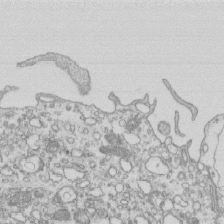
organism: Mouse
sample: Macrophages